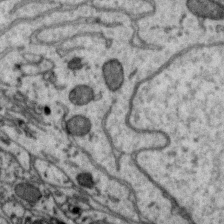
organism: Zebra finch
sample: Brain